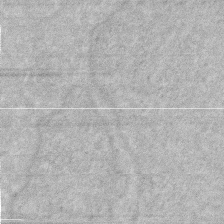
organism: Human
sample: HIV infected U937 cells